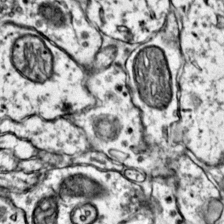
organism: Mouse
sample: Primary visual cortex